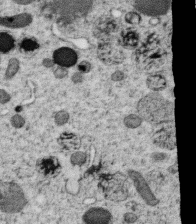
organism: C. elegans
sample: C. elegans oocyte; sperm cells